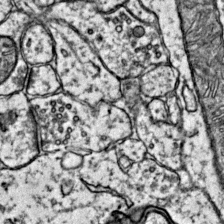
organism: Mouse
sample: Primary visual cortex